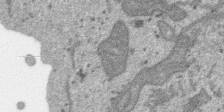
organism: Human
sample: Lung epithelial cells infected with SARS-CoV-2